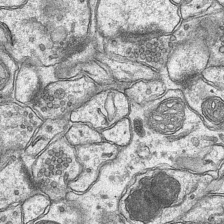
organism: Mouse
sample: CA1 Hippocampus